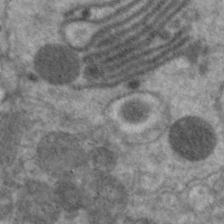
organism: C. elegans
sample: Pharynx